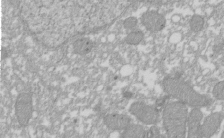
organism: Xenopus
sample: Cilia; centrioles in frog embryo cells